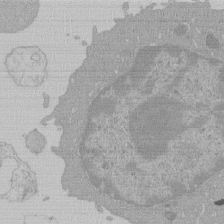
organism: Mouse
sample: Activated Pmel transgenic CD8+ T Cells